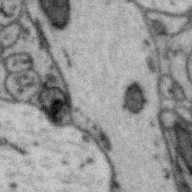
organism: Zebra finch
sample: Brain